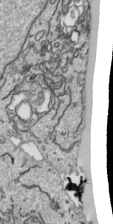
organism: Human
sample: Mitochondria in HCT116 cells